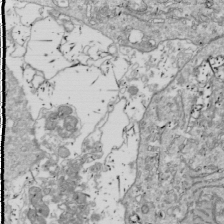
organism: Drosophila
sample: Cell division; meiosis; drosophila spermatocytes